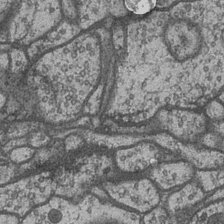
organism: Drosophila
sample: Optic medulla